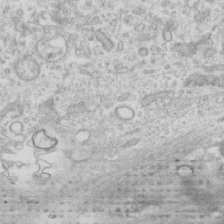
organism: Human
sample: Fibroblast cells